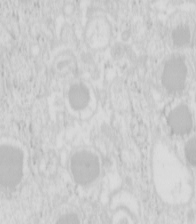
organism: Mouse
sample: Pancreas